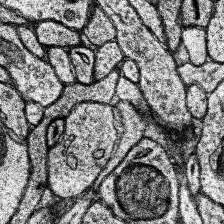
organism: Human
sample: Temporal Lobe